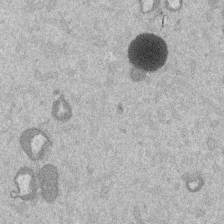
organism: Mouse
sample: Dividing mouse embryo 1 cell stage